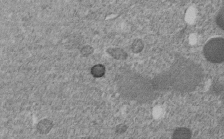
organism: C. elegans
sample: C. elegans embryo early stage